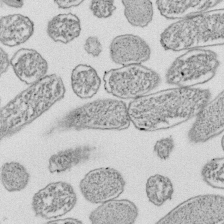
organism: E. coli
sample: Bacterial nucleoid